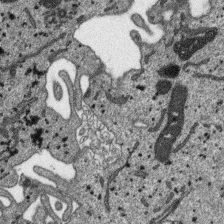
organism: Human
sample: Lung epithelial cells infected with SARS-CoV-2